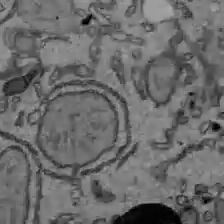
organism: C57BL Mouse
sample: Liver